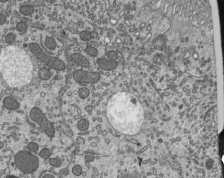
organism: Mouse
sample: Mouse epididymis efferent ductule cilia